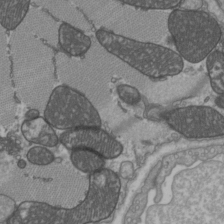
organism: C57BL Mouse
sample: Heart